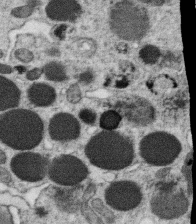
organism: C. elegans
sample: C. elegans oocyte; sperm cells